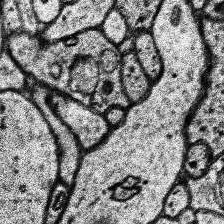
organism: Human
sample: Temporal Lobe